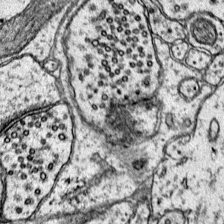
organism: Mouse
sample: Primary visual cortex